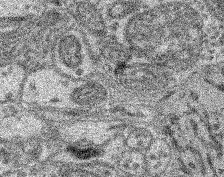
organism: Mouse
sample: Retina